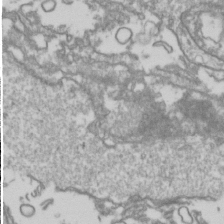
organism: Drosophila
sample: Cell division; meiosis; drosophila spermatocytes